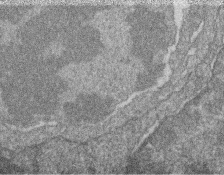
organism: Zebrafish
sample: Cilia; retinal pigment epithelium